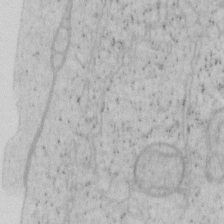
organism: Human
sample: HeLa cells